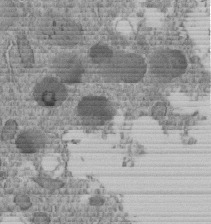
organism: C. elegans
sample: C. elegans embryo early stage